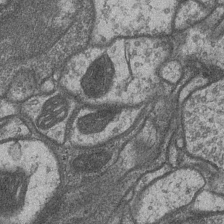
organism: Drosophila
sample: Optic medulla